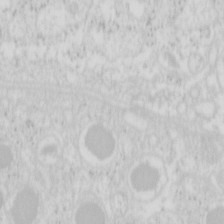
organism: Mouse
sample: Pancreas